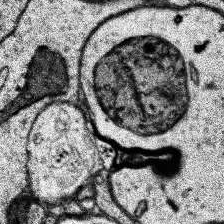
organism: Human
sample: Temporal Lobe